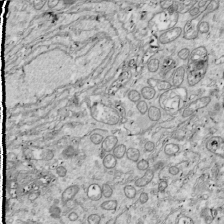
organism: Drosophila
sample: Cell division; meiosis; drosophila spermatocytes